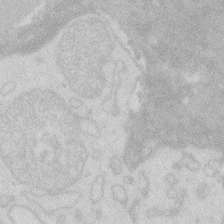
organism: Zebrafish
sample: Macrophage